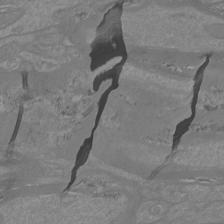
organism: Mouse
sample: Cortical neurons